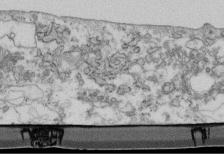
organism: Mouse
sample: Cilia; retinal pigment epithelium